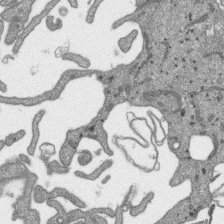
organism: Human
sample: Lung epithelial cells infected with SARS-CoV-2